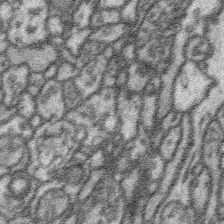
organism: Platynereis dumerilii